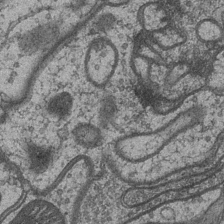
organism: Drosophila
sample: Optic medulla